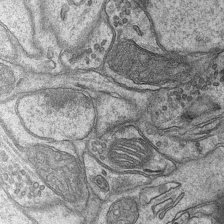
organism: Mouse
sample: CA1 Hippocampus